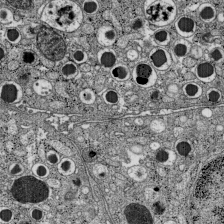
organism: C57BL Mouse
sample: Pancreatic islet